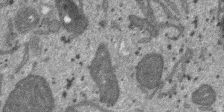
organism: Human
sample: Lung epithelial cells infected with SARS-CoV-2